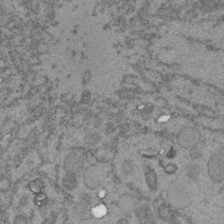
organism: C. elegans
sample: C. elegans embryo early stage